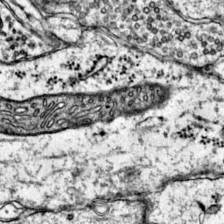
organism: Mouse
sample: Primary visual cortex